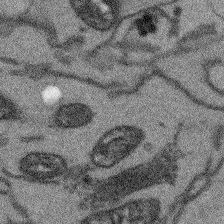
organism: Arabidopsis thaliana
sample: Root tip